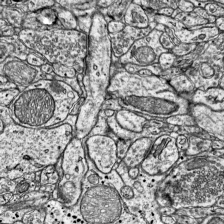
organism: Mouse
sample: Visual Cortex